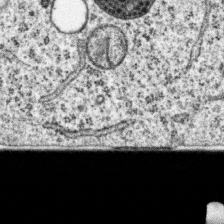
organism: Human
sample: HeLa cells